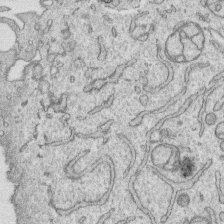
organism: Human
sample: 1205lu cells